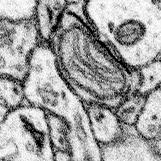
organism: Mouse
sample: Somatosensory cortex neuropil